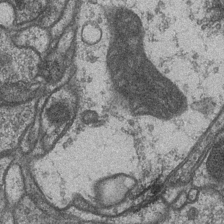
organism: Drosophila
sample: Optic medulla